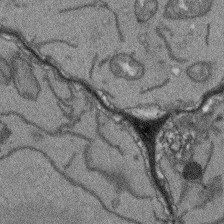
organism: Arabidopsis thaliana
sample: Root tip